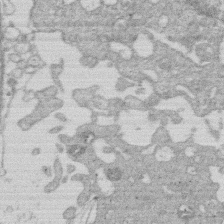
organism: Human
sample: Macrophage cells